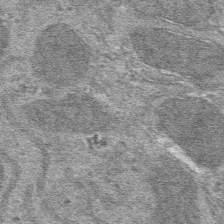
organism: Mouse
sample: Mouse hepatocytes